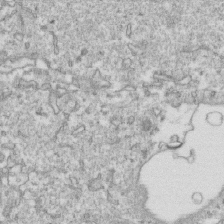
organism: Mouse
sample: Activated OT-1 CD8+ T cells